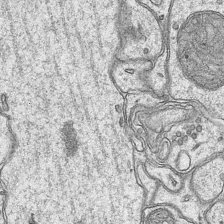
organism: Mouse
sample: CA1 Hippocampus